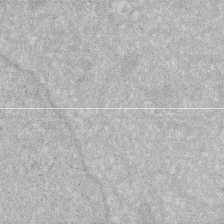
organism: Human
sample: HIV infected U937 cells